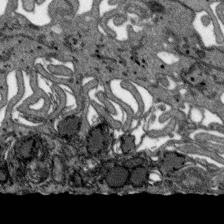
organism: Human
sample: Lung epithelial cells, uninfected (mock) control